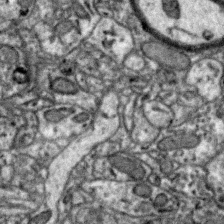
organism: Zebra finch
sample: Brain